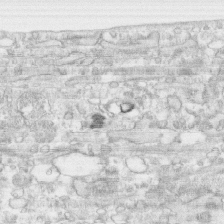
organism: Human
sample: CRL-1474